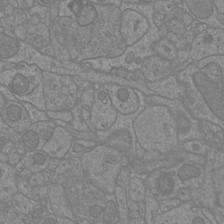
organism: Mouse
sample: Cortical neurons